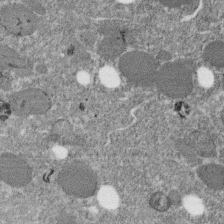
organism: C. elegans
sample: C. elegans embryo early stage